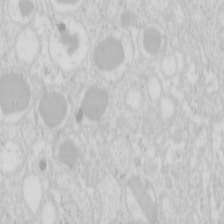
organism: Mouse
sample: Pancreas